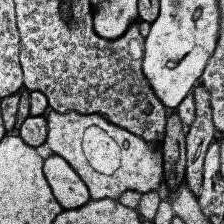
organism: Human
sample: Temporal Lobe